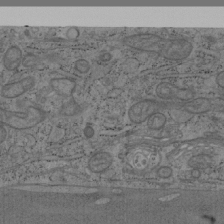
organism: Human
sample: HeLa cells